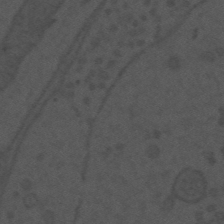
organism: Mouse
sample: Suprachiasmatic nucleus